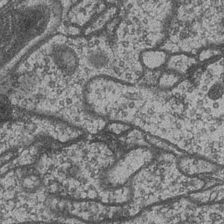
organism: Drosophila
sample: Optic medulla